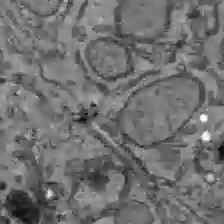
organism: C57BL Mouse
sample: Liver